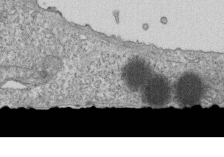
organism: Human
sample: HeLa cell HIV synapse